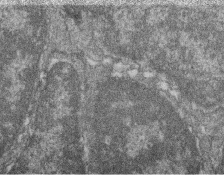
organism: Zebrafish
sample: Cilia; retinal pigment epithelium